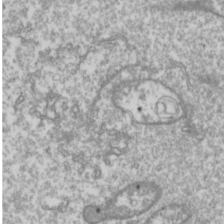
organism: Drosophila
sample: Cell division; meiosis; drosophila spermatocytes